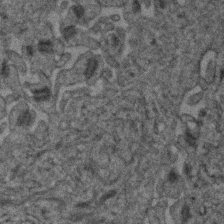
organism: Human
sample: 1205lu cells